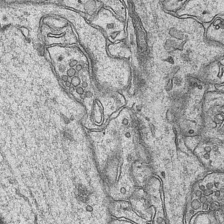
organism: Mouse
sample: CA1 Hippocampus